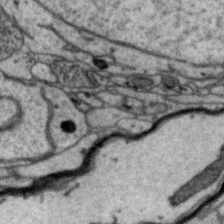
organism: Zebra finch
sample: Brain